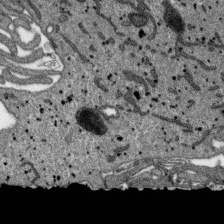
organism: Human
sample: Lung epithelial cells, uninfected (mock) control